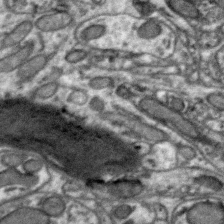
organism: Zebra finch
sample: Brain